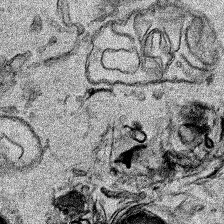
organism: Human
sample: Mitochondria in HCT116 cells